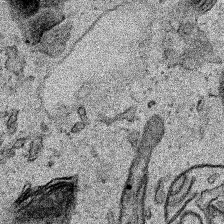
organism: Human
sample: Mitochondria in HCT116 cells